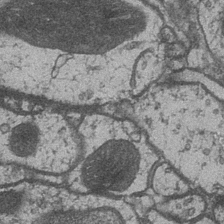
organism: Drosophila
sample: Optic medulla